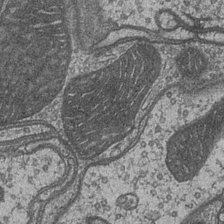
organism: Drosophila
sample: Optic medulla